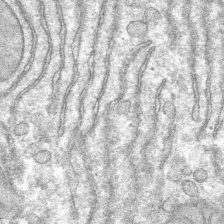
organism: Mouse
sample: Mouse hepatocytes